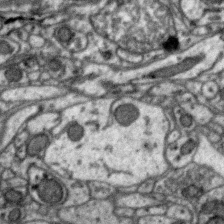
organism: Zebra finch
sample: Brain